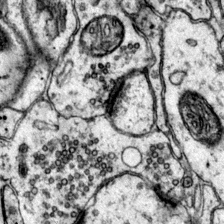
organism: Mouse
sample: Primary visual cortex